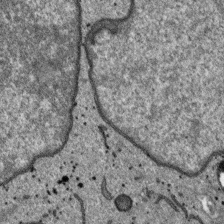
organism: Human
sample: Lung epithelial cells, uninfected (mock) control